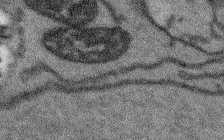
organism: Arabidopsis thaliana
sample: Root tip